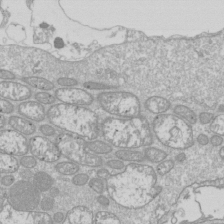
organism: Drosophila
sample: Cell division; meiosis; drosophila spermatocytes